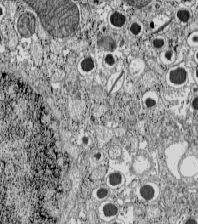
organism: C57BL Mouse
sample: Pancreatic islet